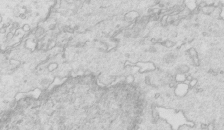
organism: Mouse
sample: Multiciliated cells